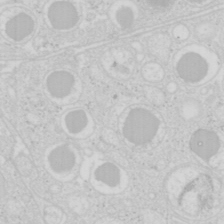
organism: Mouse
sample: Pancreas